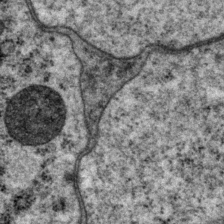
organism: P. pacificus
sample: Pharynx